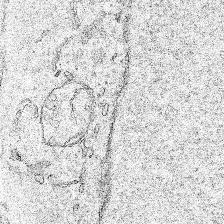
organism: Human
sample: Mitochondria in HCT116 cells